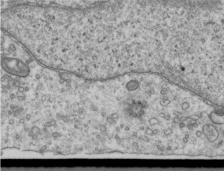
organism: Human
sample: Centriole in RPE cells